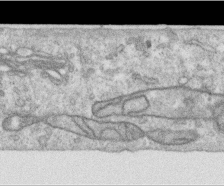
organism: Human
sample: Centriole in RPE cells